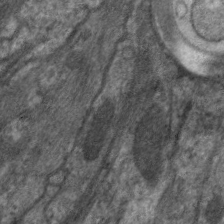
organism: C. elegans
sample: Pharynx